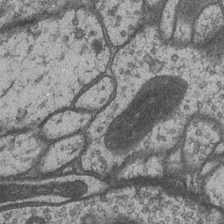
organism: Drosophila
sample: Optic medulla